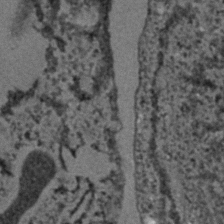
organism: C. elegans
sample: C. elegans embryo